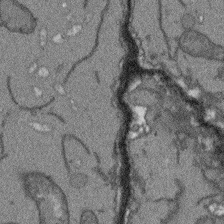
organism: Arabidopsis thaliana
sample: Root tip